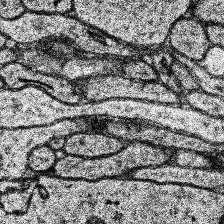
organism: Human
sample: Temporal Lobe